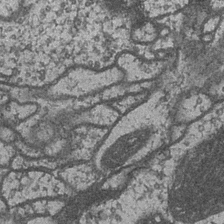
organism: Drosophila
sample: Optic medulla